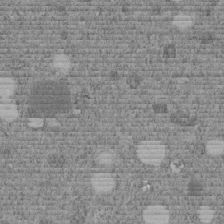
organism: C. elegans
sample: C. elegans embryo early stage